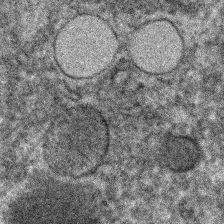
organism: C. elegans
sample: C. elegans embryo